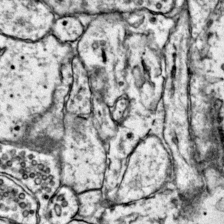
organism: Mouse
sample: Primary visual cortex